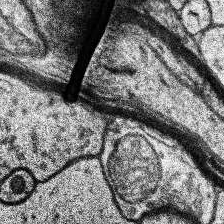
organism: Human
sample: Temporal Lobe